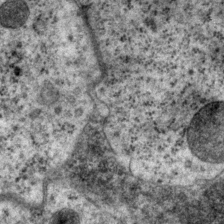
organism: P. pacificus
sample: Pharynx